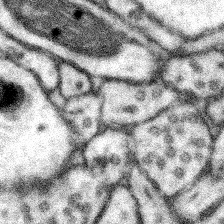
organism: Mouse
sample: Somatosensory cortex neuropil